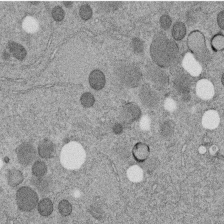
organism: C. elegans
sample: C. elegans embryo early stage